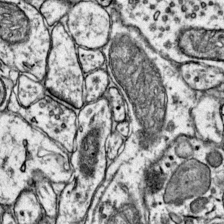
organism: Mouse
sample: Primary visual cortex